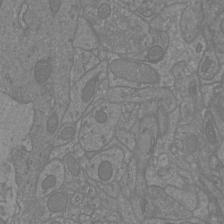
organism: Mouse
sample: Cortical neurons